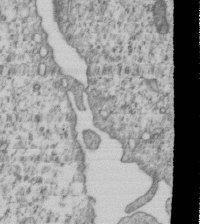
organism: Human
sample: MDA-MB-231 cells